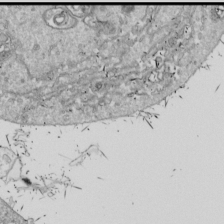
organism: Drosophila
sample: Cell division; meiosis; drosophila spermatocytes